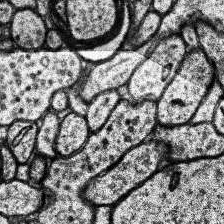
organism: Human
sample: Temporal Lobe